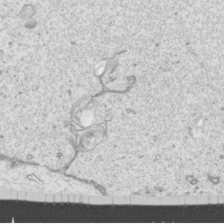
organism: Mouse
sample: Cilia; mouse epididymis